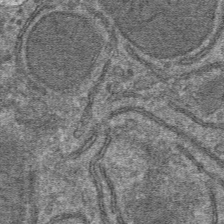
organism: Mouse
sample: Mouse hepatocytes